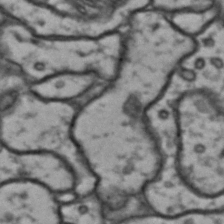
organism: Drosophila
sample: Brain